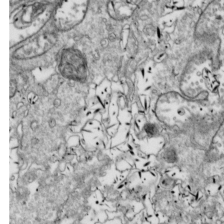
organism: Drosophila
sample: Cell division; meiosis; drosophila spermatocytes